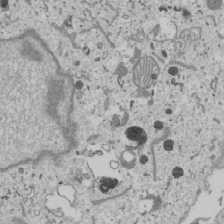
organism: Human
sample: Mitochondria in U2OS cells